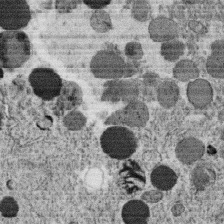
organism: C. elegans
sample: C. elegans oocyte; sperm cells